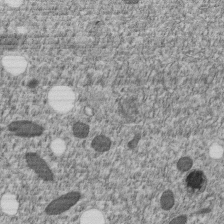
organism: C. elegans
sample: C. elegans embryo early stage